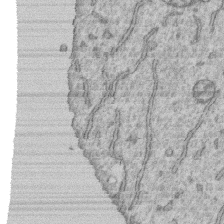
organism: Human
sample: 1205lu cells